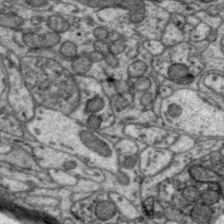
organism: Zebra finch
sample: Brain